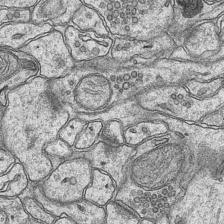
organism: Mouse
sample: CA1 Hippocampus